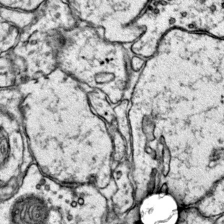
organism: Mouse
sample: Primary visual cortex